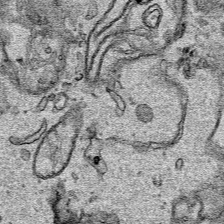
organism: Human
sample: Mitochondria in HCT116 cells